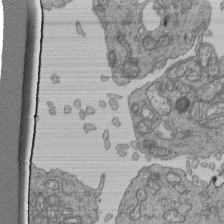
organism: Human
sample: Retinal organoid Rod and Cone cells